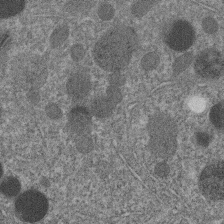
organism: C. elegans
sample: C. elegans embryo early stage